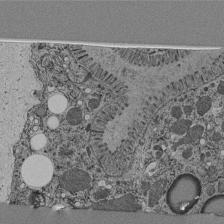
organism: C. elegans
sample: C. elegans pharynx